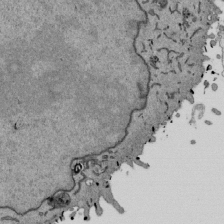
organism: Mouse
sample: ED-1 cell nuclei; centrioles